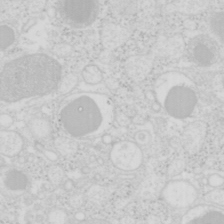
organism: Mouse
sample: Pancreas